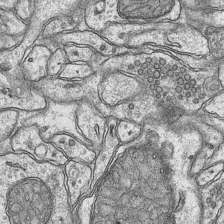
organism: Mouse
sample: CA1 Hippocampus